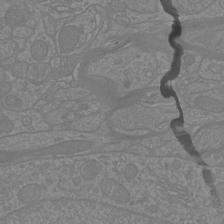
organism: Mouse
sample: Cortical neurons